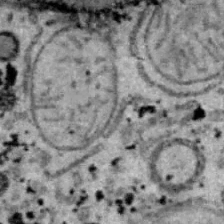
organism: Mouse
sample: Liver from an obese (ob/ob) mouse